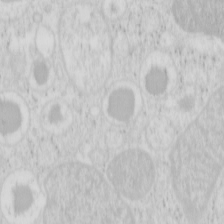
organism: Mouse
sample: Pancreas